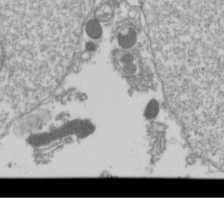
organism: Drosophila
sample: Cell division; meiosis; drosophila spermatocytes